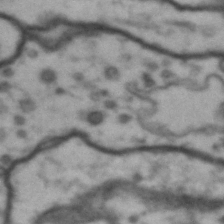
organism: Drosophila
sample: Brain